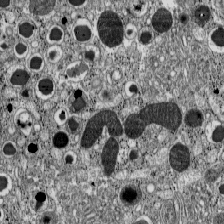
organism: C57BL Mouse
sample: Pancreatic islet